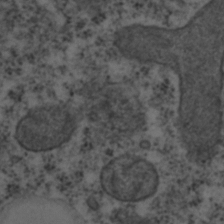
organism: C. elegans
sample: C. elegans embryo